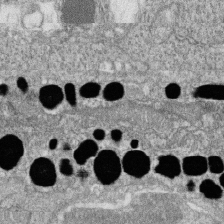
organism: Zebrafish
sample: Cilia; retinal pigment epithelium